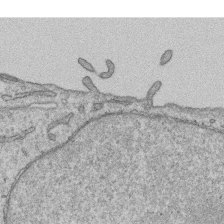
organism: Human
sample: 1205lu cells